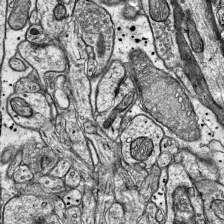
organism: Mouse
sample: Visual Cortex